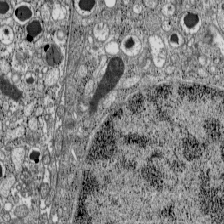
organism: C57BL Mouse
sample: Pancreatic islet